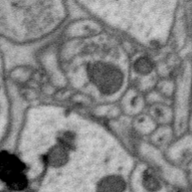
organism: Zebra finch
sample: Brain